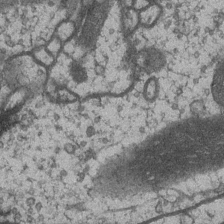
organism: Drosophila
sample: Optic medulla